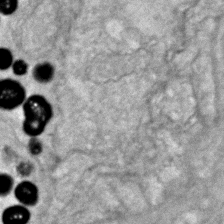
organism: Zebrafish